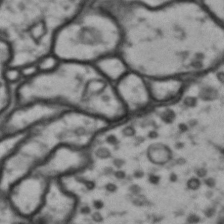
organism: Drosophila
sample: Brain